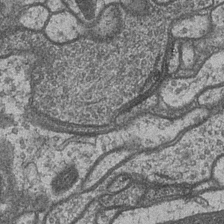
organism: Drosophila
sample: Optic medulla